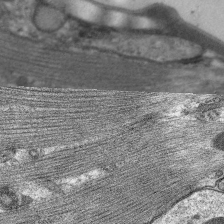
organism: C. elegans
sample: Pharynx